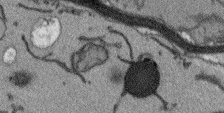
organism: Arabidopsis thaliana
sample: Root tip